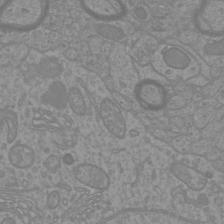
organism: Mouse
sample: Cortical neurons